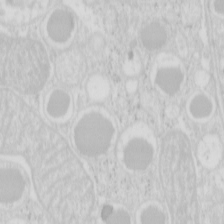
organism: Mouse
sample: Pancreas